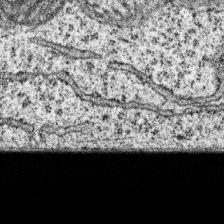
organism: Human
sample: HeLa cells